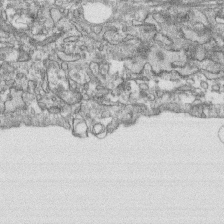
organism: Human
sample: CRL-1474